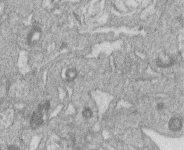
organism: Human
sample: Macrophage cells